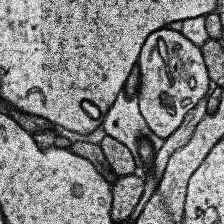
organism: Human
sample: Temporal Lobe